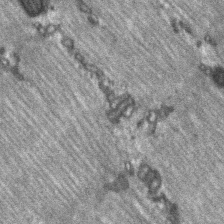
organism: C57BL Mouse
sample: Soleus